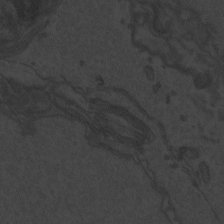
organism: Zebrafish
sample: Macrophage infected with Toxoplasma gondii